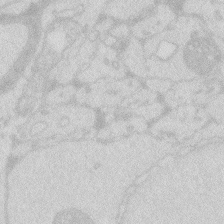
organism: Zebrafish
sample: Macrophage